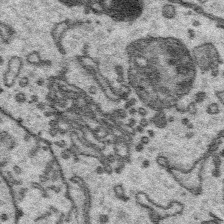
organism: Platynereis dumerilii